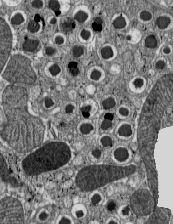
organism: C57BL Mouse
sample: Pancreatic islet